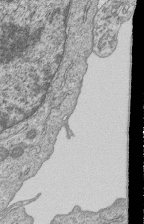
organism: Human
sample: MDA-MB-231 cells